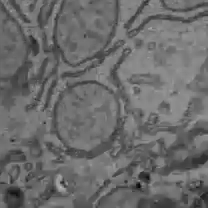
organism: C57BL Mouse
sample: Liver